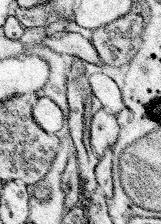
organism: Mouse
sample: Somatosensory cortex neuropil